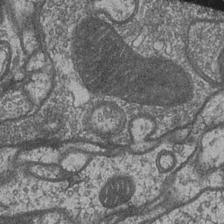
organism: Drosophila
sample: Optic medulla